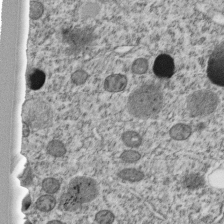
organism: C. elegans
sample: C. elegans embryo early stage